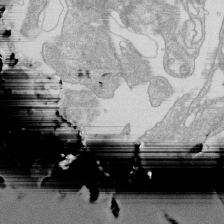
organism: Mouse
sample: Macrophages